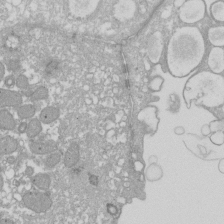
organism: Xenopus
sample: Cilia; centrioles in frog embryo cells